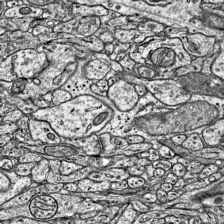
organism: Mouse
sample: Visual Cortex